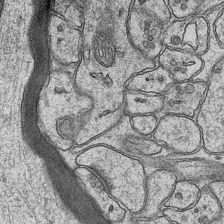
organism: Mouse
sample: CA1 Hippocampus